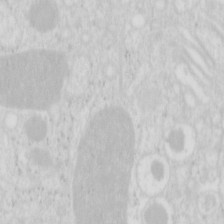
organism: Mouse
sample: Pancreas